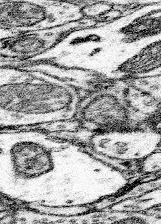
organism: Mouse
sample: Somatosensory cortex neuropil